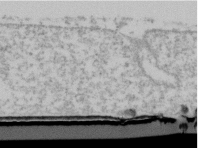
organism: Human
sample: U2-OS cells